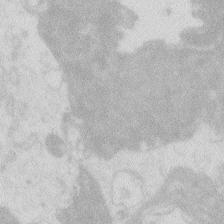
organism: Zebrafish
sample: Macrophage